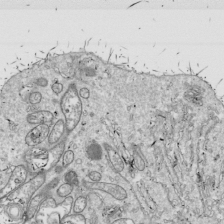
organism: Drosophila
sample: Cell division; meiosis; drosophila spermatocytes